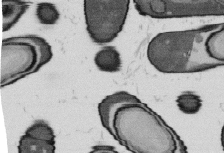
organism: B. subtilis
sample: Bacterial spore